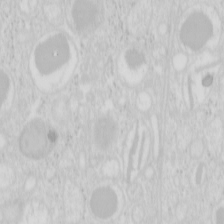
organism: Mouse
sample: Pancreas